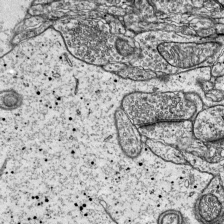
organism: Mouse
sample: Visual Cortex